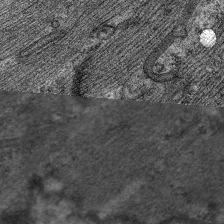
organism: C. elegans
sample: Pharynx